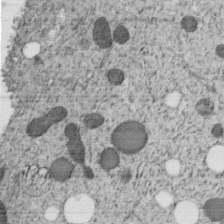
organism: C. elegans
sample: C. elegans embryo early stage